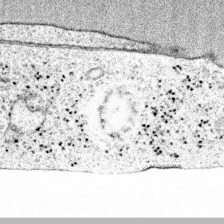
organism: Human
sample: HeLa cells